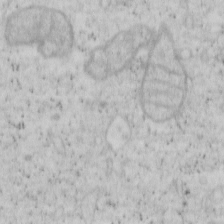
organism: Human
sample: HeLa cells